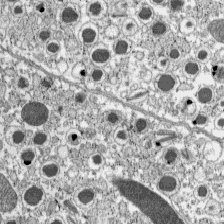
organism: C57BL Mouse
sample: Pancreatic islet